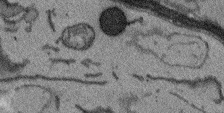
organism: Arabidopsis thaliana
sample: Root tip